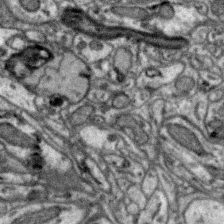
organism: Zebra finch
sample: Brain